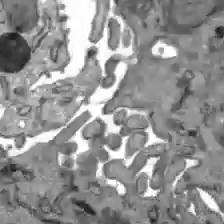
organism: C57BL Mouse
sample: Liver